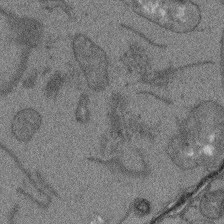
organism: Arabidopsis thaliana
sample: Root tip